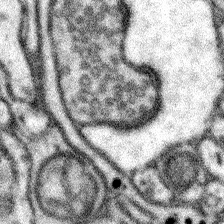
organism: Mouse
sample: Somatosensory cortex neuropil